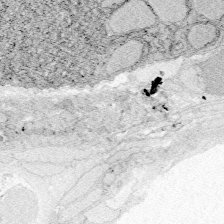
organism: Zebrafish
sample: Whole-Brain